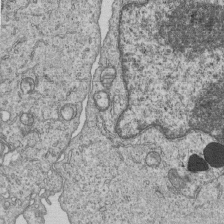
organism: Human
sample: MDA-MB-231 cells